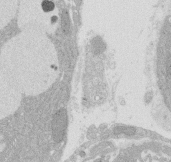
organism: Rat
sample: Salivary granule